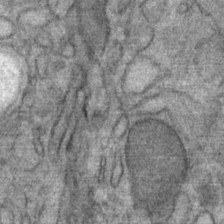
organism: Mouse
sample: Mouse Salivary gland